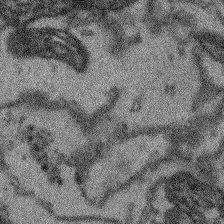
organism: Arabidopsis thaliana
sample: Root tip